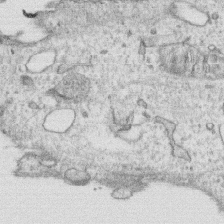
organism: Human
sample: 1205lu cells